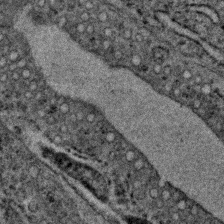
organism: C. elegans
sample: C. elegans embryo